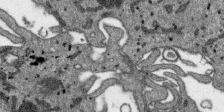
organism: Human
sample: Lung epithelial cells, uninfected (mock) control